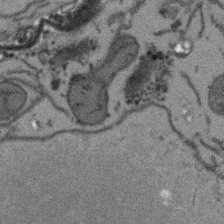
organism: Arabidopsis thaliana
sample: Root tip